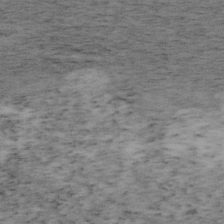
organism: Mouse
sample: OT-I killer T cells with ID8 ovarian cancer cells